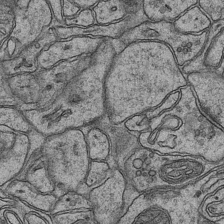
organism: Mouse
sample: CA1 Hippocampus